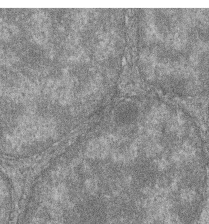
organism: Zebrafish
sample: Cilia; retinal pigment epithelium